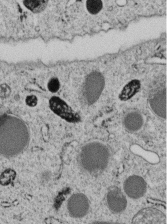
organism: C. elegans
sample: C. elegans embryo early stage